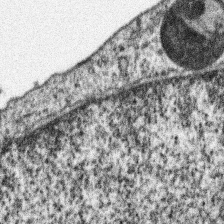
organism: Human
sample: HeLa cells